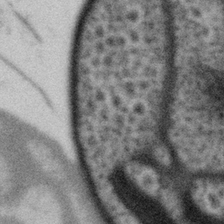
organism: Gemmata obscuriglobus